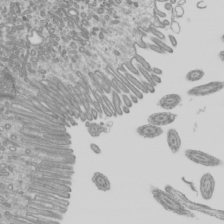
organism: Mouse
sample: Cilia; mouse epididymis